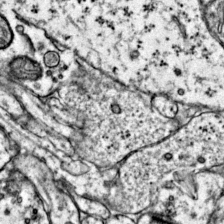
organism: Mouse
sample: Primary visual cortex